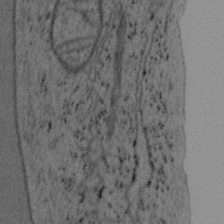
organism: Human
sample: HeLa cells